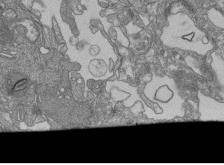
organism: Human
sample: Retinal organoid Rod and Cone cells